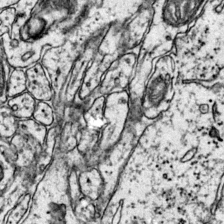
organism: Mouse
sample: Primary visual cortex